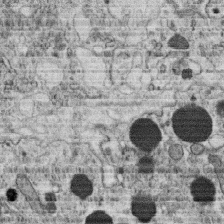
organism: C. elegans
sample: C. elegans oocyte; sperm cells